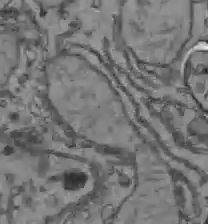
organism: C57BL Mouse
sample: Liver